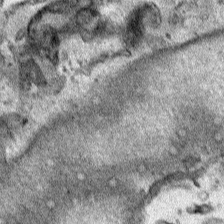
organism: Human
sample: Mitochondria in HCT116 cells